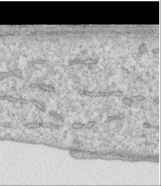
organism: Human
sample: Centriole in RPE cells